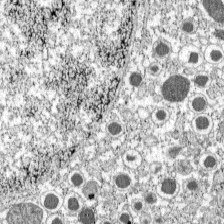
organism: C57BL Mouse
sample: Pancreatic islet